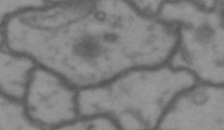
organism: Drosophila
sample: Brain